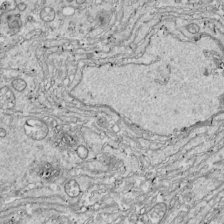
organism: Drosophila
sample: Cell division; meiosis; drosophila spermatocytes